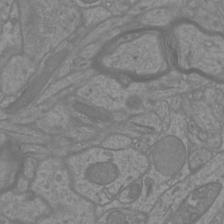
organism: Mouse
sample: Cortical neurons